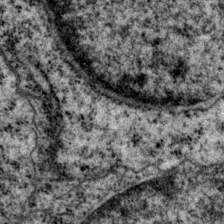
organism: P. pacificus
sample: Pharynx